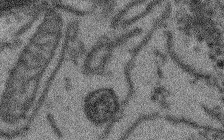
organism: Arabidopsis thaliana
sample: Root tip